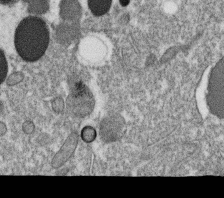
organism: C. elegans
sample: C. elegans oocyte; sperm cells